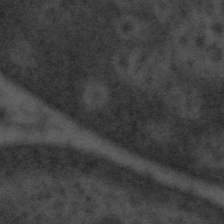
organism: Tuwongella immobilis